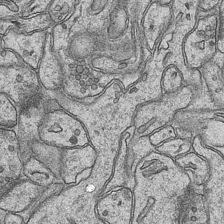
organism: Mouse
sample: CA1 Hippocampus